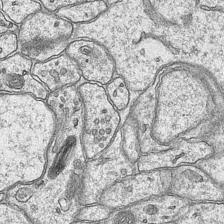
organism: Mouse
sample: CA1 Hippocampus